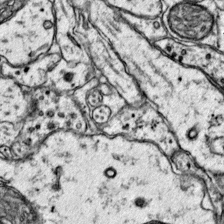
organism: Mouse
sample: Primary visual cortex